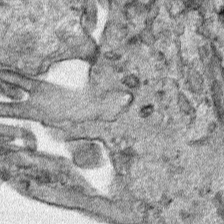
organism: Human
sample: Mitochondria in HCT116 cells